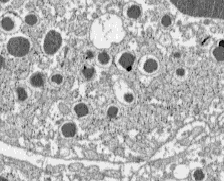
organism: C57BL Mouse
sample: Pancreatic islet